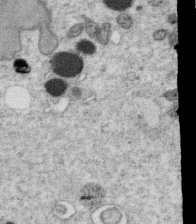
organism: C. elegans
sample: C. elegans oocyte; sperm cells